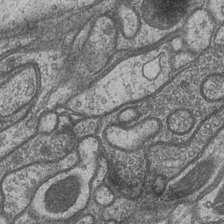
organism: Drosophila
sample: Optic medulla